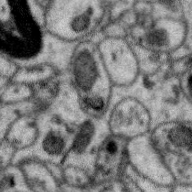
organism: Zebra finch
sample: Brain